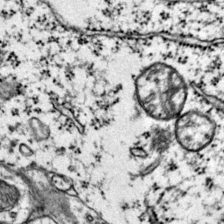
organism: Mouse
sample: Primary visual cortex